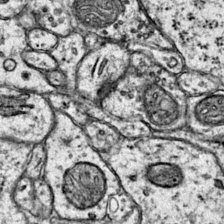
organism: Mouse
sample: Primary visual cortex